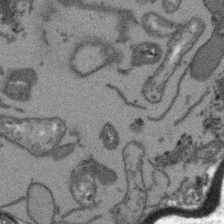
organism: Arabidopsis thaliana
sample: Root tip